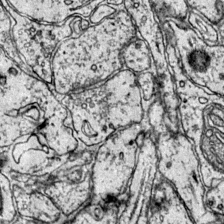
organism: Mouse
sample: Primary visual cortex